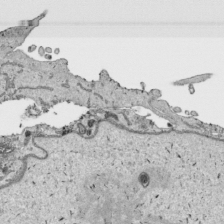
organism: Human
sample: Mitochondria in HCT116 cells